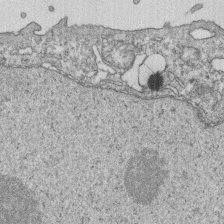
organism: Human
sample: HeLa cell HIV synapse